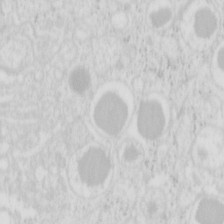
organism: Mouse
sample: Pancreas